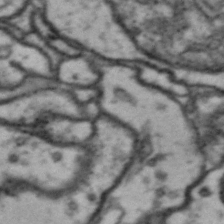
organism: Drosophila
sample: Brain